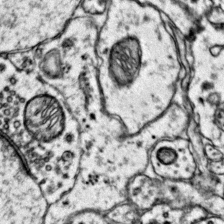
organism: Mouse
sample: Primary visual cortex